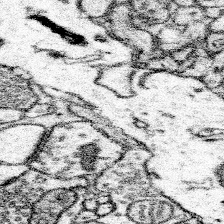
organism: Mouse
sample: Somatosensory cortex neuropil